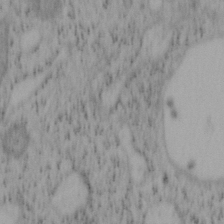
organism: Mouse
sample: OT-I killer T cells with ID8 ovarian cancer cells